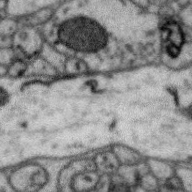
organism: Zebra finch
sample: Brain